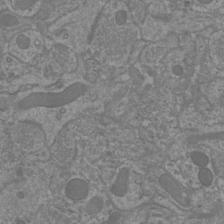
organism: Mouse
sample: Cortical neurons